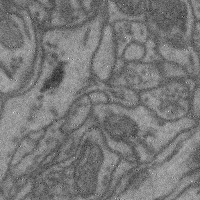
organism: Mouse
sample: Cerebral cortex